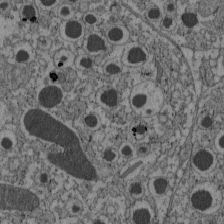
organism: C57BL Mouse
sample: Pancreatic islet